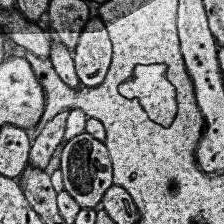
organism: Human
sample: Temporal Lobe